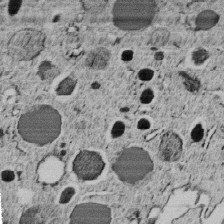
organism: C. elegans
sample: C. elegans embryo early stage